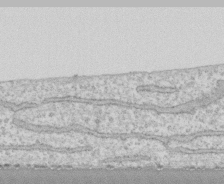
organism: Human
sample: CRL-1474